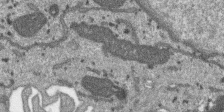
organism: Human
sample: Lung epithelial cells infected with SARS-CoV-2